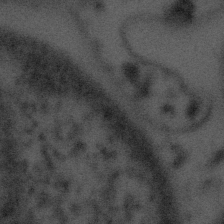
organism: Tuwongella immobilis